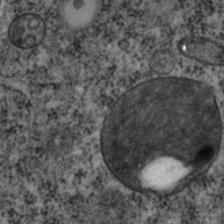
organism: C. elegans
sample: C. elegans embryo